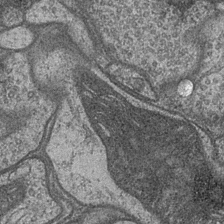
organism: Drosophila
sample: Optic medulla